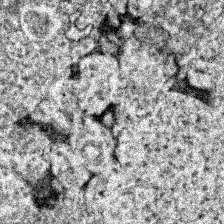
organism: Zebrafish